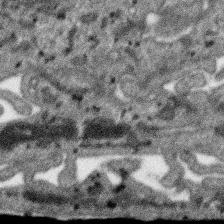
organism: Human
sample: Lung epithelial cells infected with SARS-CoV-2